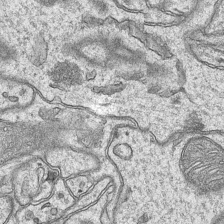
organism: Mouse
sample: CA1 Hippocampus